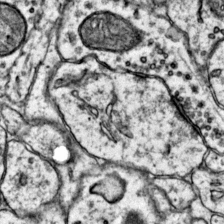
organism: Mouse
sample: Primary visual cortex